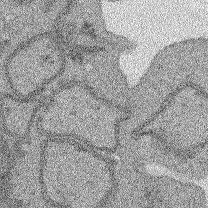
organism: Human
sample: HeLa cells